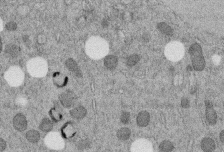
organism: C. elegans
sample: C. elegans embryo early stage